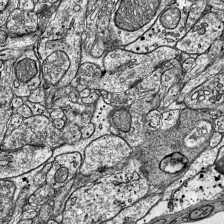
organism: Mouse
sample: Visual Cortex